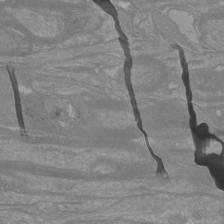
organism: Mouse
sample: Cortical neurons